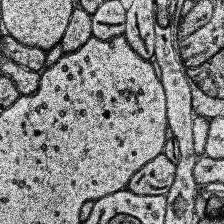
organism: Human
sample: Temporal Lobe